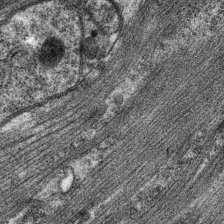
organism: C. elegans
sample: Pharynx